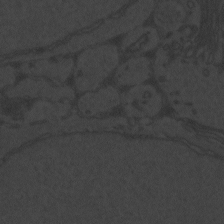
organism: Zebrafish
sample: Macrophage infected with Toxoplasma gondii